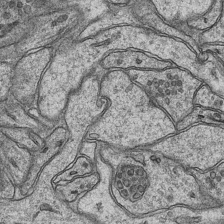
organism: Mouse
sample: CA1 Hippocampus